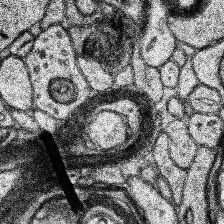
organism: Human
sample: Temporal Lobe